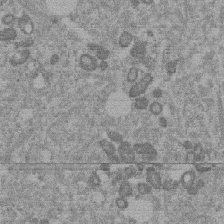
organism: Mouse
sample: Dividing mouse embryo 1 cell stage